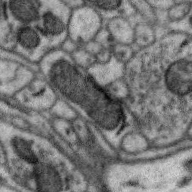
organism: Zebra finch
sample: Brain